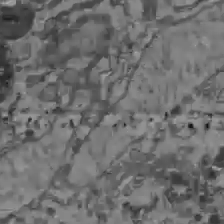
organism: C57BL Mouse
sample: Liver